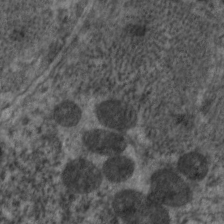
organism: C. elegans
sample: Pharynx